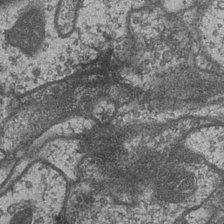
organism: Drosophila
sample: Optic medulla